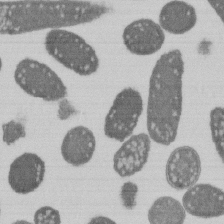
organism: E. coli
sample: Bacterial nucleoid